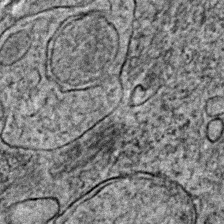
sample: Trachea